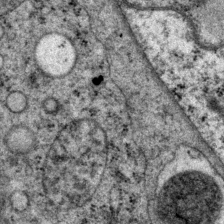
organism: P. pacificus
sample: Pharynx